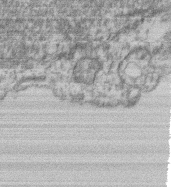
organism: Mouse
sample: T cell stromal cell synapse